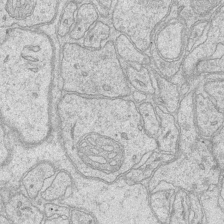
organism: Mouse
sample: CA1 Hippocampus